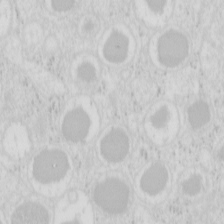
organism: Mouse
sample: Pancreas